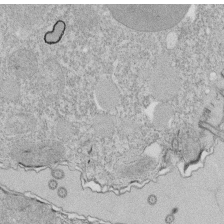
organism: Tetrahymena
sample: Cilia in tetrahymena